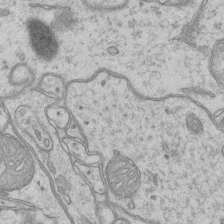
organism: Mouse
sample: CA1 Hippocampus